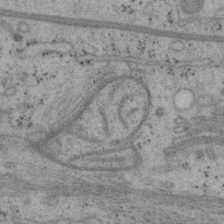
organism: Human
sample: HeLa cells